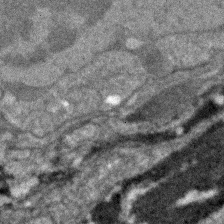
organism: Zebrafish